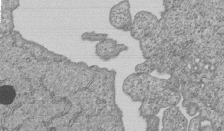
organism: Human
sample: MDA-MB-231 cells